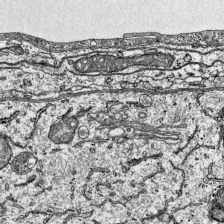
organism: Mouse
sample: Visual Cortex